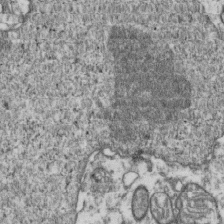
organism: Human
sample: Activated Jurkat CD4+ T cells